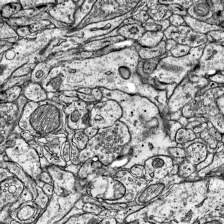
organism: Mouse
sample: Visual Cortex